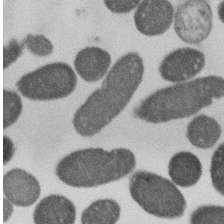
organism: E. coli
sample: Bacterial nucleoid